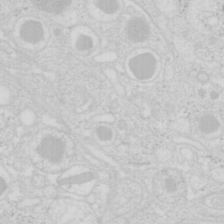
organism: Mouse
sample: Pancreas